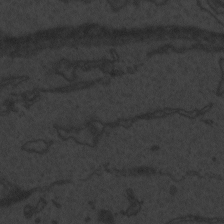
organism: Zebrafish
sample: Macrophage infected with Toxoplasma gondii